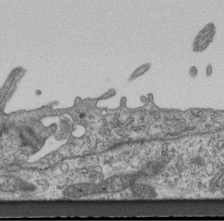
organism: Mouse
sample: Centriole in ependymal cells